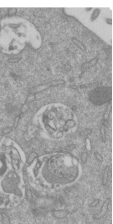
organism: Mouse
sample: ED-1 cell nuclei; centrioles